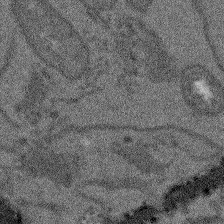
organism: Arabidopsis thaliana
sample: Root tip